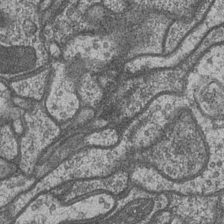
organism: Drosophila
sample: Optic medulla